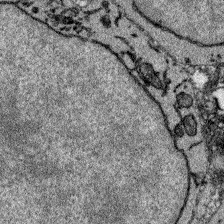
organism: Zebrafish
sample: Larval olfactory bulb